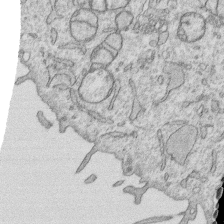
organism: Human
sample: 1205lu cells